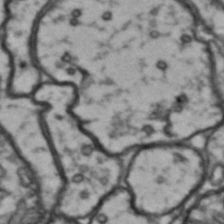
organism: Drosophila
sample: Brain